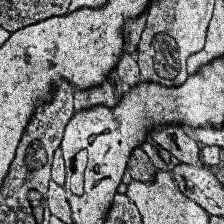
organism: Human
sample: Temporal Lobe